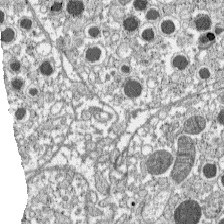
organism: C57BL Mouse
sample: Pancreatic islet